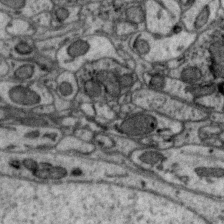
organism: Zebra finch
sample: Brain